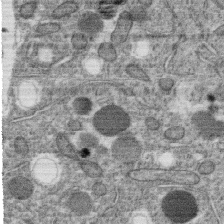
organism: C. elegans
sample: C. elegans oocyte; sperm cells